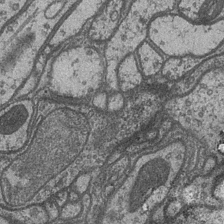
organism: Drosophila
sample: Optic medulla